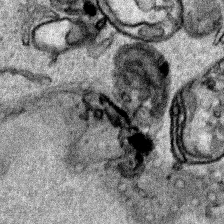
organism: Human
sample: Mitochondria in HCT116 cells